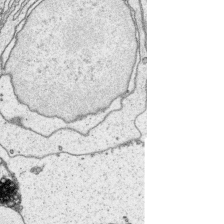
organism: Platynereis dumerilii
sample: Parapodia